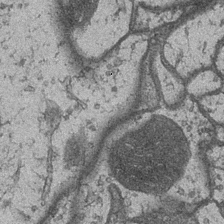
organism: Drosophila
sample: Optic medulla